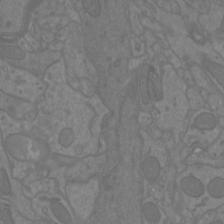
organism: Mouse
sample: Cortical neurons